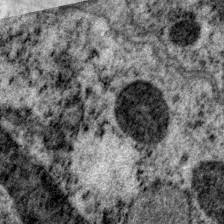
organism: P. pacificus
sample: Pharynx